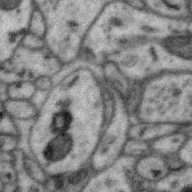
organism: Zebra finch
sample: Brain